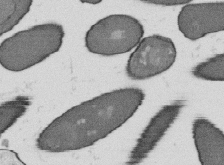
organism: B. subtilis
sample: Bacterial spore